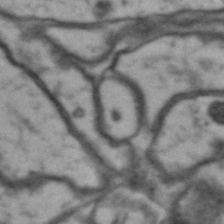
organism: Drosophila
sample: Brain